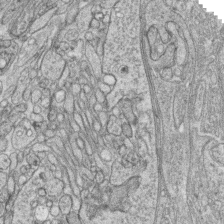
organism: Zebrafish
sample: synaptic ribbons in rod cells and cone cells